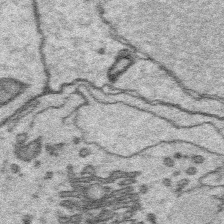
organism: Platynereis dumerilii